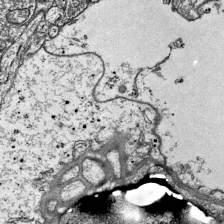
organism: Mouse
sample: Visual Cortex